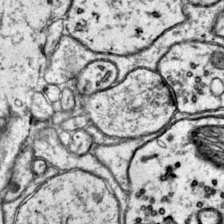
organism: Mouse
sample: Primary visual cortex